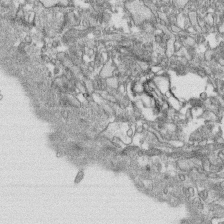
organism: Human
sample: CRL-1474